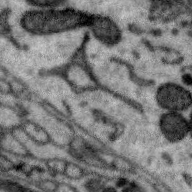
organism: Zebra finch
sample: Brain